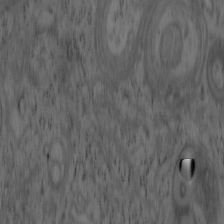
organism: Human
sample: HeLa cells